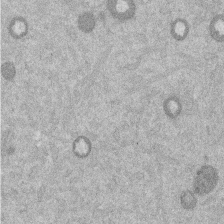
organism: Mouse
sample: Dividing mouse embryo 1 cell stage